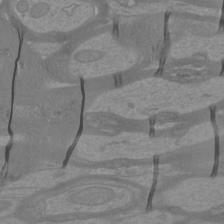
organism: Mouse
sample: Cortical neurons